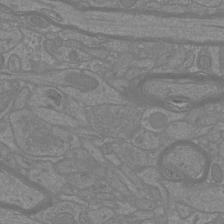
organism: Mouse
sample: Cortical neurons